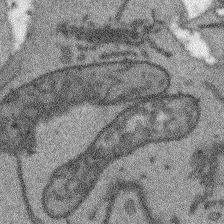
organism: Arabidopsis thaliana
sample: Root tip